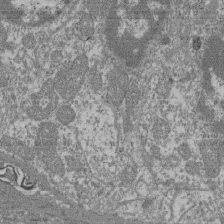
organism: Mouse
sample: Glomerulus